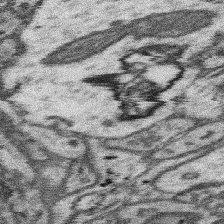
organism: Mouse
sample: Somatosensory cortex neuropil